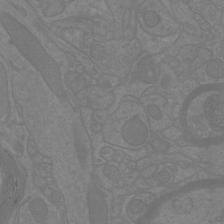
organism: Mouse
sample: Cortical neurons